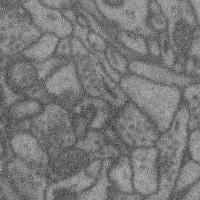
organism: Mouse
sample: Cerebral cortex